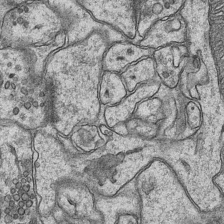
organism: Mouse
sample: CA1 Hippocampus